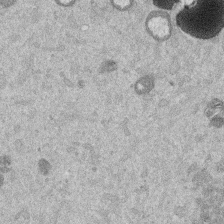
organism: Mouse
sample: Dividing mouse embryo 1 cell stage